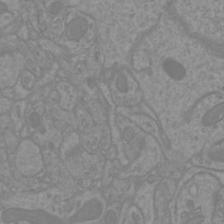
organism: Mouse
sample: Cortical neurons